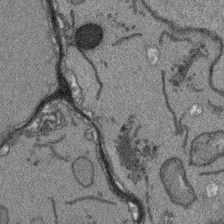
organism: Arabidopsis thaliana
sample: Root tip